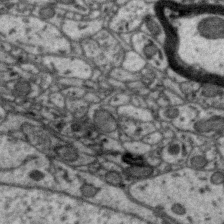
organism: Zebra finch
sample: Brain